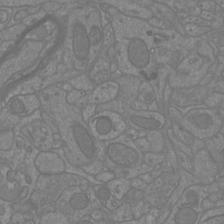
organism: Mouse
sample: Cortical neurons